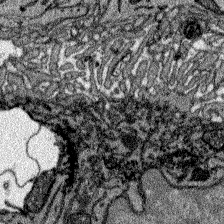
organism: Zebrafish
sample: Larval olfactory bulb